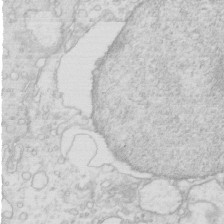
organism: Mouse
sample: Multiciliated cells